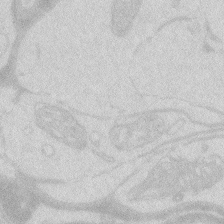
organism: Zebrafish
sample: Macrophage